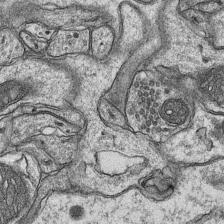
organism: Mouse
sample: CA1 Hippocampus